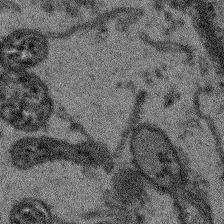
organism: Arabidopsis thaliana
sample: Root tip